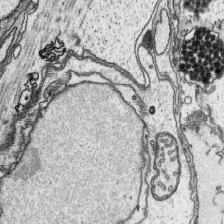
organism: Platynereis dumerilii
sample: Parapodia